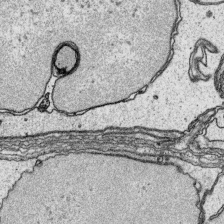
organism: Platynereis dumerilii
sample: Parapodia